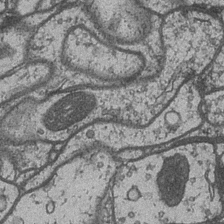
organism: Drosophila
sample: Optic medulla